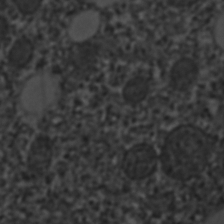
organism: C. elegans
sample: C. elegans embryo